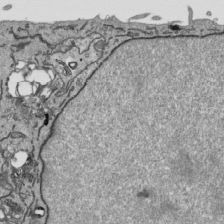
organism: Human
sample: Mitochondria in HCT116 cells